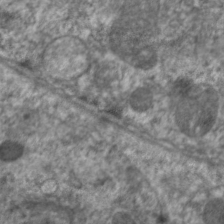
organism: C. elegans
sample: Pharynx